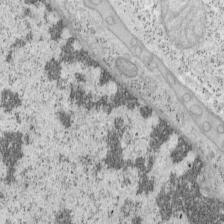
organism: Mouse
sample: OT-I killer T cells with ID8 ovarian cancer cells